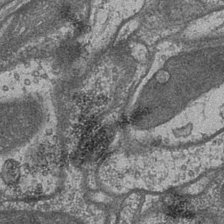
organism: Drosophila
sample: Optic medulla